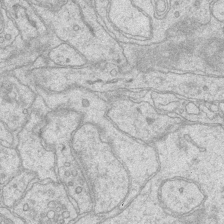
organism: Mouse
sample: CA1 Hippocampus